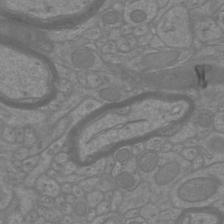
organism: Mouse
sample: Cortical neurons